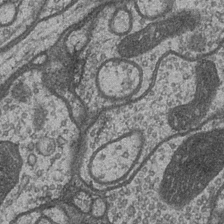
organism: Drosophila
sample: Optic medulla